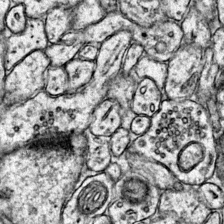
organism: Mouse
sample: Primary visual cortex